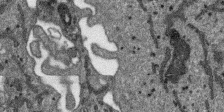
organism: Human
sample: Lung epithelial cells infected with SARS-CoV-2